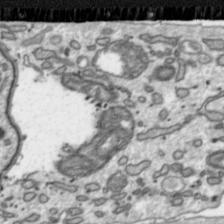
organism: Toxoplasma gondii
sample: Parasites in a vacuole inside a host cell